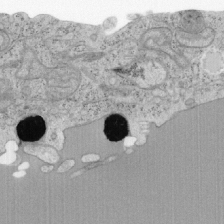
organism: Human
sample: HeLa cells